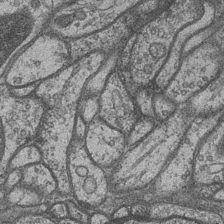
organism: Drosophila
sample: Optic medulla